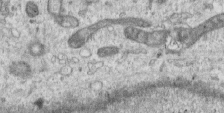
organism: Human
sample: Centriole in RPE cells